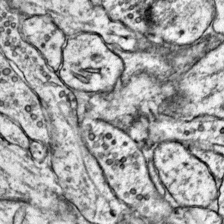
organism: Mouse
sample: Primary visual cortex